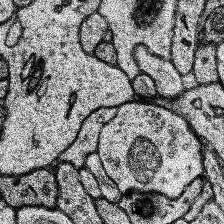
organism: Human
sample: Temporal Lobe